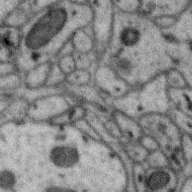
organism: Zebra finch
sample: Brain